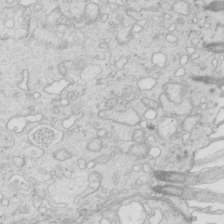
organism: Mouse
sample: Multiciliated cells